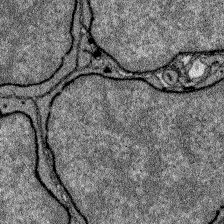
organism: Zebrafish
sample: Larval olfactory bulb